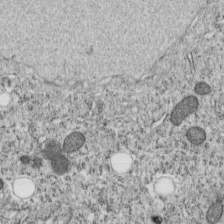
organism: C. elegans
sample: C. elegans embryo early stage